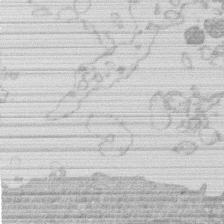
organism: Human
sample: Macrophage cells